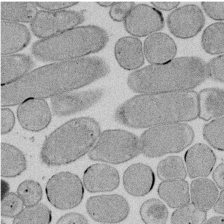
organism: E. coli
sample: Bacterial nucleoid